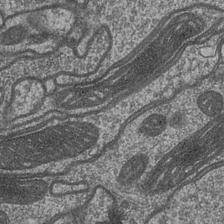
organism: Drosophila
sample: Optic medulla